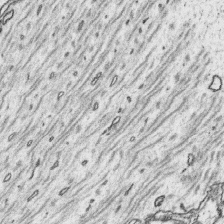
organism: Platynereis dumerilii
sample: Parapodia